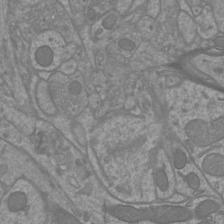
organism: Mouse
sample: Cortical neurons